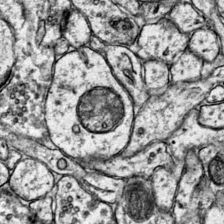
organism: Mouse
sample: Primary visual cortex